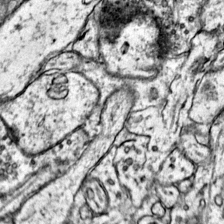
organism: Mouse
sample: Primary visual cortex